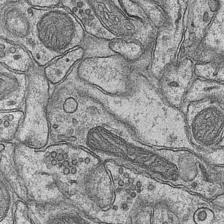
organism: Mouse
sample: CA1 Hippocampus